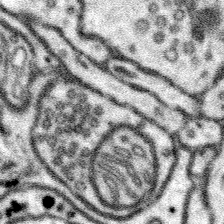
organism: Mouse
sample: Somatosensory cortex neuropil